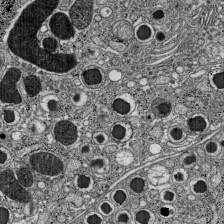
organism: C57BL Mouse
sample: Pancreatic islet